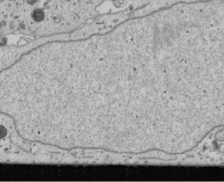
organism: Human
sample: Mitochondria in U2OS cells